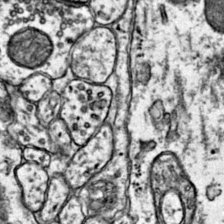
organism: Mouse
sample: Primary visual cortex